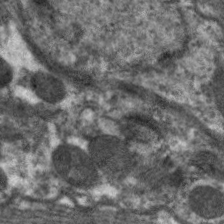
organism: C. elegans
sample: Pharynx